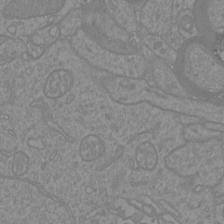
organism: Mouse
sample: Cortical neurons